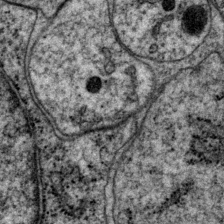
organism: P. pacificus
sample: Pharynx